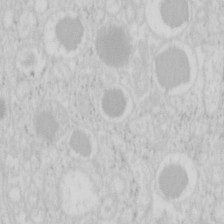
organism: Mouse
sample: Pancreas